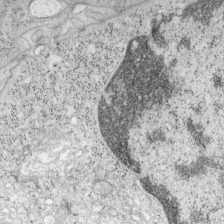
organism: Mouse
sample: OT-I killer T cells with ID8 ovarian cancer cells